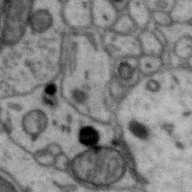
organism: Zebra finch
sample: Brain